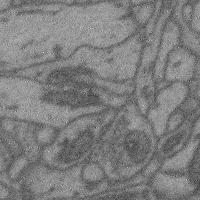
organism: Mouse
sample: Cerebral cortex